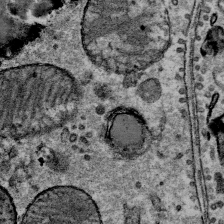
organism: Mouse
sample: Mouse Salivary gland